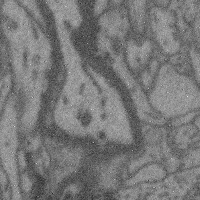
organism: Mouse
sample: Cerebral cortex